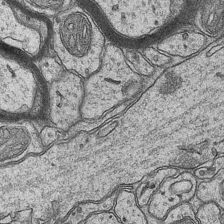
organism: Mouse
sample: CA1 Hippocampus